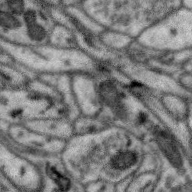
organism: Zebra finch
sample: Brain